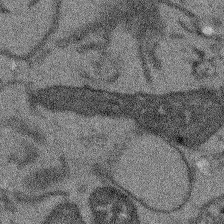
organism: Arabidopsis thaliana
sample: Root tip